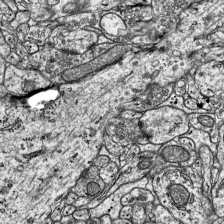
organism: Mouse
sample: Visual Cortex